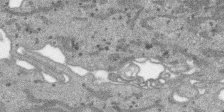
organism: Human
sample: Lung epithelial cells infected with SARS-CoV-2